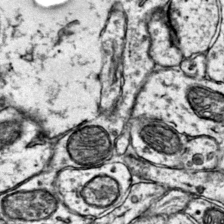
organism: Mouse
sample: Primary visual cortex